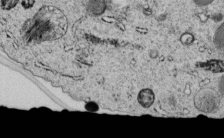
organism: C. elegans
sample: C. elegans embryo early stage